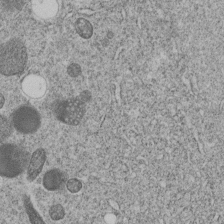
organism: C. elegans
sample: C. elegans embryo early stage